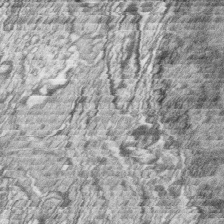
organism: Zebrafish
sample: synaptic ribbons in rod cells and cone cells